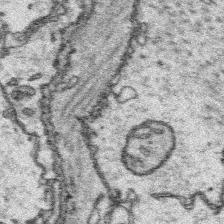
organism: Platynereis dumerilii